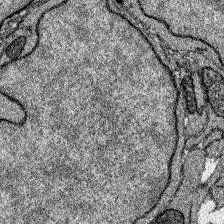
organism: Zebrafish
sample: Larval olfactory bulb